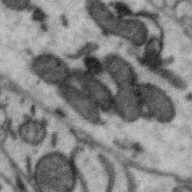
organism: Zebra finch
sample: Brain